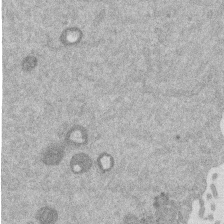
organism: Mouse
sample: Dividing mouse embryo 1 cell stage